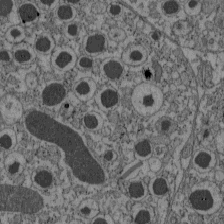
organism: C57BL Mouse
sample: Pancreatic islet